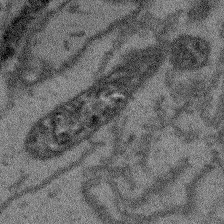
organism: Arabidopsis thaliana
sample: Root tip